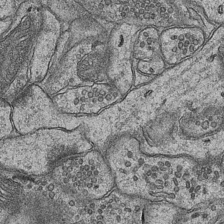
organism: Mouse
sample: CA1 Hippocampus